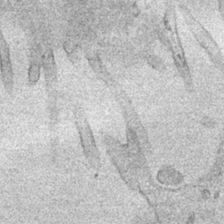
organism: Human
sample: Mitochondria in HCT116 cells